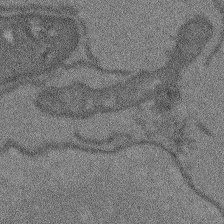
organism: Arabidopsis thaliana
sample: Root tip